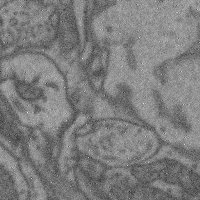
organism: Mouse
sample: Cerebral cortex